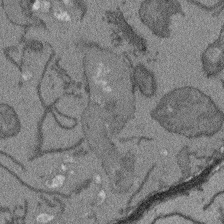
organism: Arabidopsis thaliana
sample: Root tip